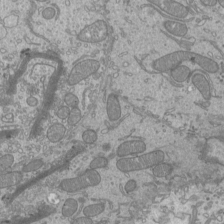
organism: Mouse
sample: Cilia; mouse epididymis